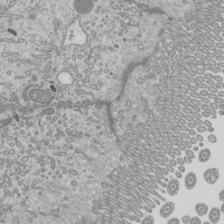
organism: Mouse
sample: Cilia; mouse epididymis